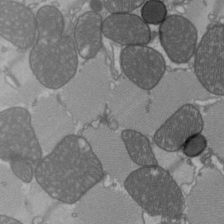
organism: C57BL Mouse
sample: Heart